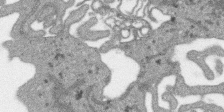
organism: Human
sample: Lung epithelial cells infected with SARS-CoV-2